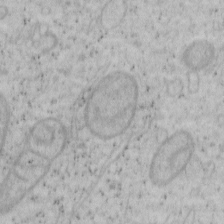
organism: Human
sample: HeLa cells